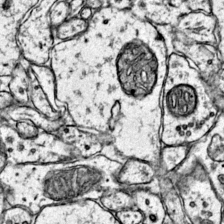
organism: Mouse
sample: Primary visual cortex